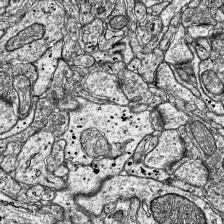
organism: Mouse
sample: Visual Cortex